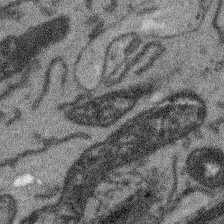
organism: Arabidopsis thaliana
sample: Root tip